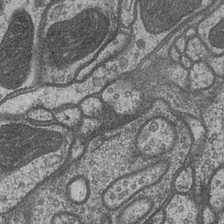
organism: Drosophila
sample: Optic medulla